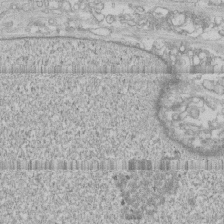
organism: Human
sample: CRL-1474